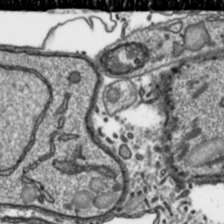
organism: Toxoplasma gondii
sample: Parasites in a vacuole inside a host cell